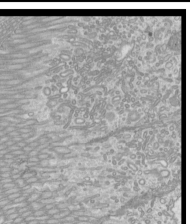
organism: Mouse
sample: Cilia; mouse epididymis